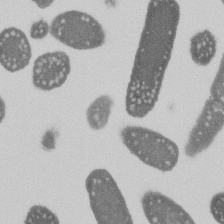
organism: E. coli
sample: Bacterial nucleoid